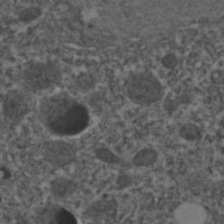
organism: C. elegans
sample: C. elegans embryo